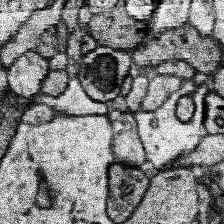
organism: Human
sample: Temporal Lobe